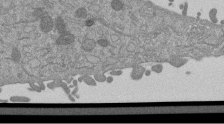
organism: Mouse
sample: ED-1 cell nuclei; centrioles